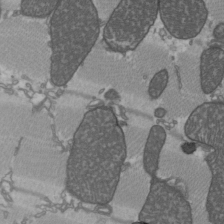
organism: C57BL Mouse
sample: Heart